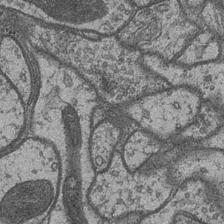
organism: Drosophila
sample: Optic medulla